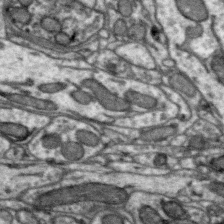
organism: Zebra finch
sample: Brain